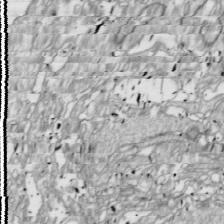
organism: Drosophila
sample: Cell division; meiosis; drosophila spermatocytes